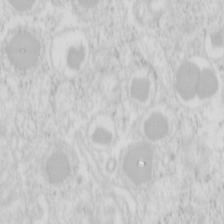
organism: Mouse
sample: Pancreas